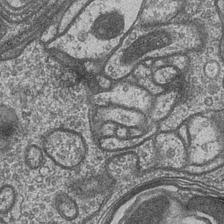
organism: Drosophila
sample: Optic medulla